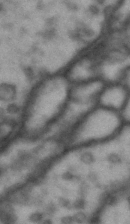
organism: Drosophila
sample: Brain